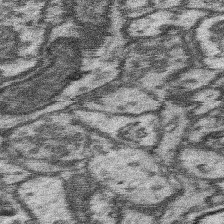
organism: Mouse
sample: Somatosensory cortex neuropil